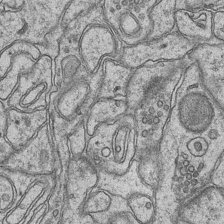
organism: Mouse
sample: CA1 Hippocampus